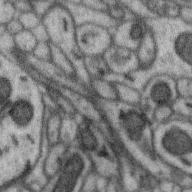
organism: Zebra finch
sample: Brain